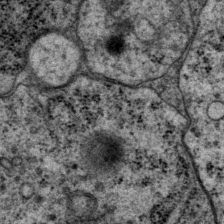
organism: P. pacificus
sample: Pharynx